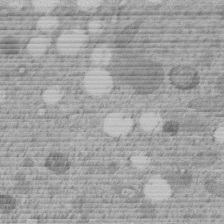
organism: C. elegans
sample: C. elegans embryo early stage